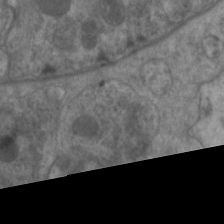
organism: C. elegans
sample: Pharynx